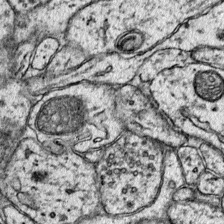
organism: Mouse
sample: Primary visual cortex